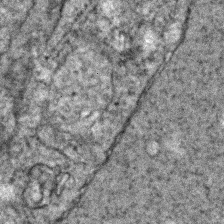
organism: Zebrafish